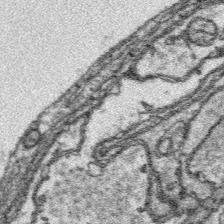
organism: Platynereis dumerilii